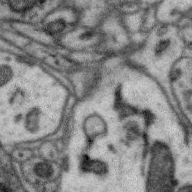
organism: Zebra finch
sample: Brain